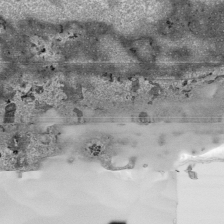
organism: Human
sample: Mitochondria in HCT116 cells